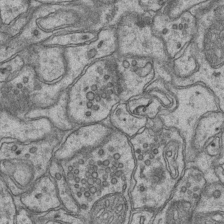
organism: Mouse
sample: CA1 Hippocampus